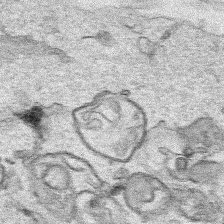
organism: Human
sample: Mitochondria in HCT116 cells